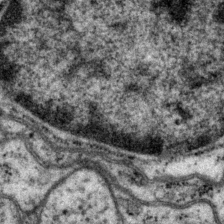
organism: P. pacificus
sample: Pharynx